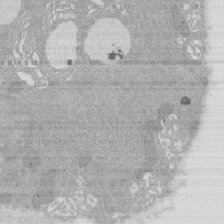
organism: Rat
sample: Salivary granule